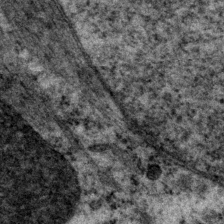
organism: P. pacificus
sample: Pharynx